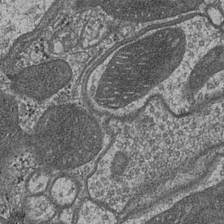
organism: Drosophila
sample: Optic medulla